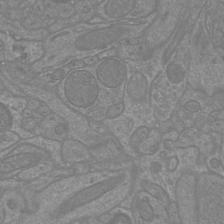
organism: Mouse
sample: Cortical neurons